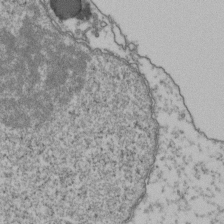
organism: Human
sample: Activated Jurkat CD4+ T cells